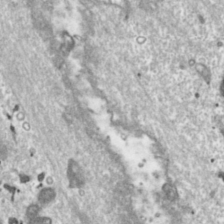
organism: Toxoplasma gondii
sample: Parasites in a vacuole inside a host cell